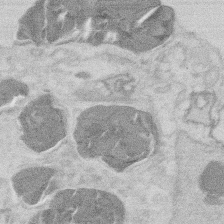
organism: Mouse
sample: T cell stromal cell synapse